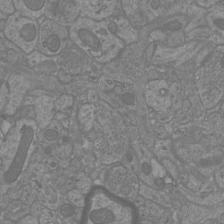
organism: Mouse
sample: Cortical neurons